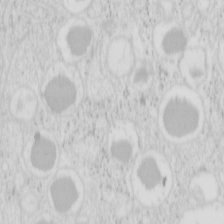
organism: Mouse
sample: Pancreas